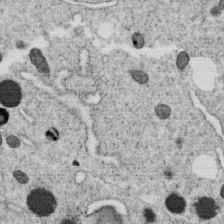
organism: C. elegans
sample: C. elegans oocyte; sperm cells